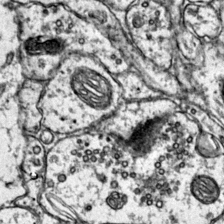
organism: Mouse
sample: Primary visual cortex